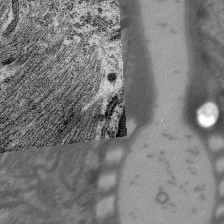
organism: C. elegans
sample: Pharynx